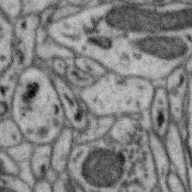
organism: Zebra finch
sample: Brain